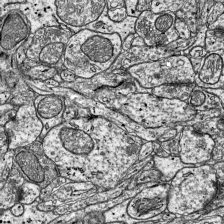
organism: Mouse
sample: Visual Cortex